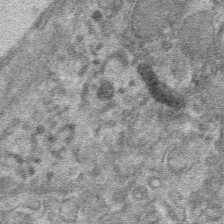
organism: Mouse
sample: Mouse hepatocytes